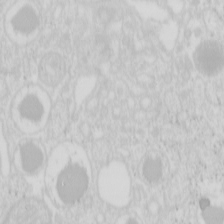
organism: Mouse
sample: Pancreas